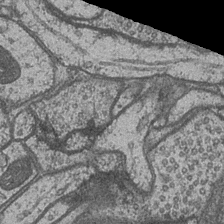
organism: Drosophila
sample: Optic medulla